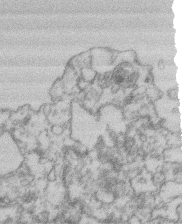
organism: Mouse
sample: T cell stromal cell synapse